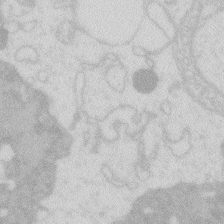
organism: Zebrafish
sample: Macrophage